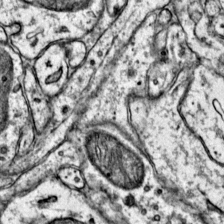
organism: Mouse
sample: Primary visual cortex